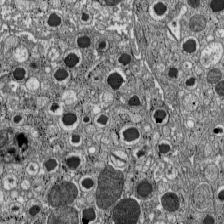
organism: C57BL Mouse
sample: Pancreatic islet